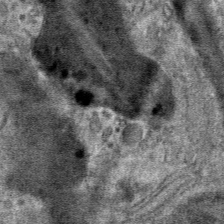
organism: Mouse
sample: Mouse hepatocytes